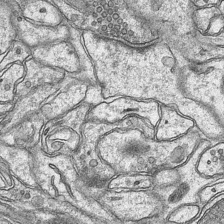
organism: Mouse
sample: CA1 Hippocampus